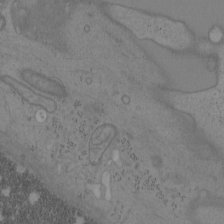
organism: Mouse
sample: OT-I killer T cells with ID8 ovarian cancer cells